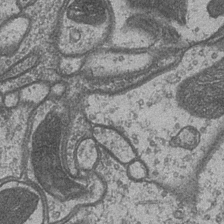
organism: Drosophila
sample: Optic medulla